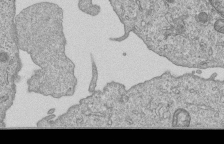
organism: Human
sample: MDA-MB-231 cells